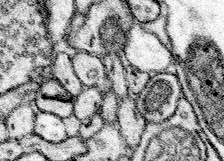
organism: Mouse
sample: Somatosensory cortex neuropil